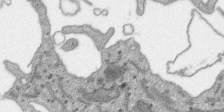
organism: Human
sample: Lung epithelial cells infected with SARS-CoV-2